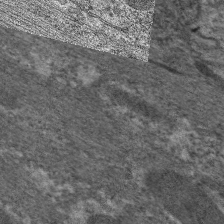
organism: C. elegans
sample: Pharynx